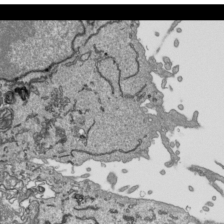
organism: Human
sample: Mitochondria in HCT116 cells